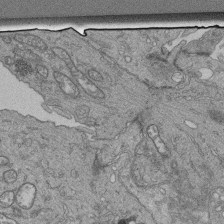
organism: Human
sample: Retinal organoid Rod and Cone cells